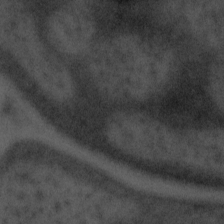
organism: Tuwongella immobilis